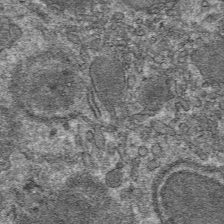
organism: Mouse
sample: Mouse hepatocytes